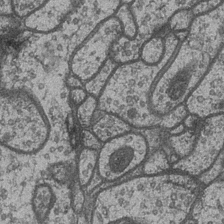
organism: Drosophila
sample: Optic medulla